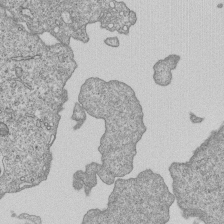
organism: Human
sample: MDA-MB-231 cells